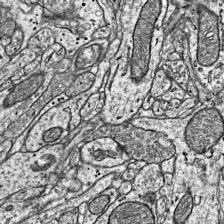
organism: Mouse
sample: Visual Cortex